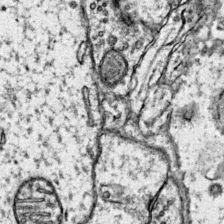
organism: Mouse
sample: Primary visual cortex